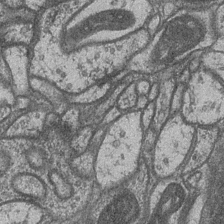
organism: Drosophila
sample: Optic medulla